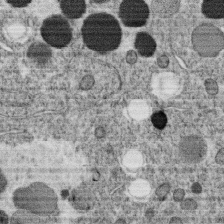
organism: C. elegans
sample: C. elegans oocyte; sperm cells